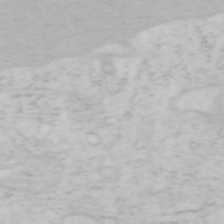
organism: Mouse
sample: OT-I killer T cells with ID8 ovarian cancer cells